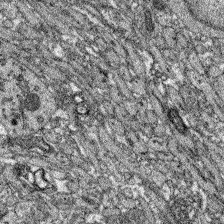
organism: Zebrafish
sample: Larval olfactory bulb